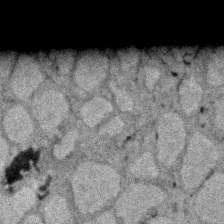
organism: Zebrafish